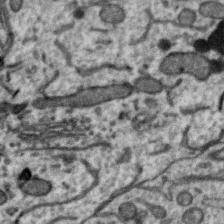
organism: Zebra finch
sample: Brain